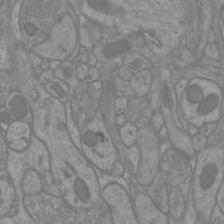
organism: Mouse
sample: Cortical neurons